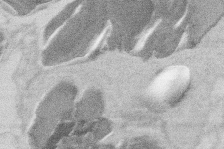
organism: Mouse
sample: T cell stromal cell synapse